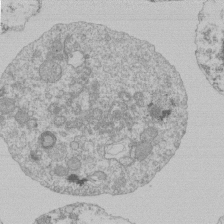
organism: Mouse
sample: Activated Pmel transgenic CD8+ T Cells